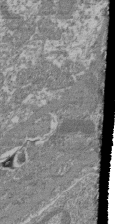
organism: Mouse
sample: Glomerulus